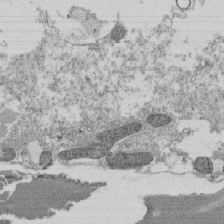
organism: Tetrahymena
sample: Cilia in tetrahymena